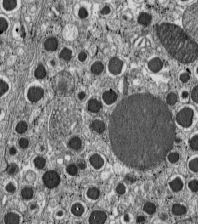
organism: C57BL Mouse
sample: Pancreatic islet